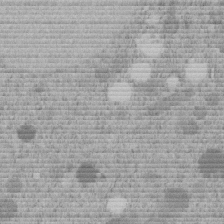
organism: C. elegans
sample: C. elegans embryo early stage